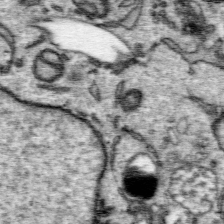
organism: Human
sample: HeLa cells